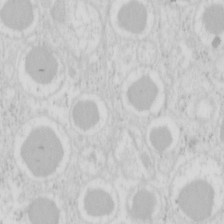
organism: Mouse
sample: Pancreas